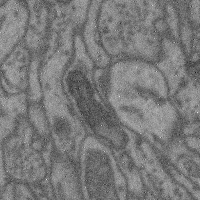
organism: Mouse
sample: Cerebral cortex